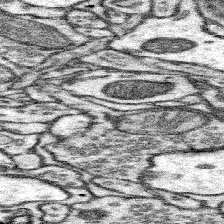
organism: Mouse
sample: Somatosensory cortex neuropil